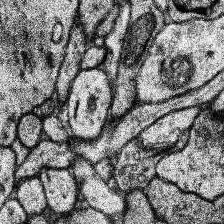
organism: Human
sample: Temporal Lobe